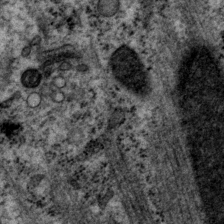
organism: P. pacificus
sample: Pharynx